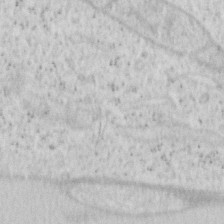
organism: Human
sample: HeLa cells